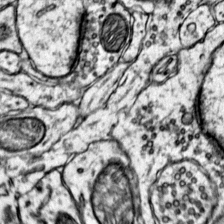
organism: Mouse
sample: Primary visual cortex